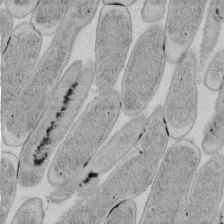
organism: E. coli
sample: Bacterial nucleoid